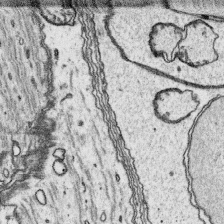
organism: Platynereis dumerilii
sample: Parapodia